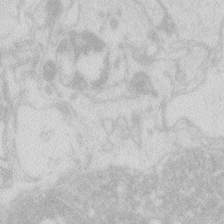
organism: Zebrafish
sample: Macrophage